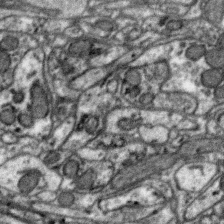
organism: Zebra finch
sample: Brain